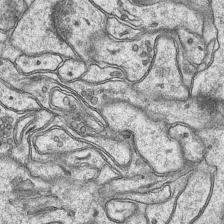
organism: Mouse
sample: CA1 Hippocampus